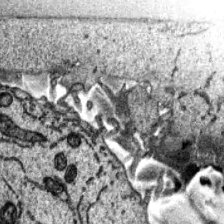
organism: Human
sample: HeLa cells